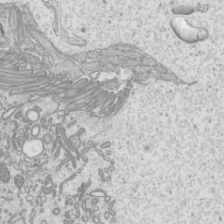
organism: Mouse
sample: Cilia; mouse epididymis